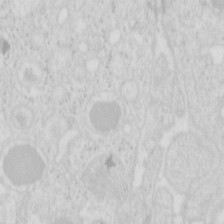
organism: Mouse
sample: Pancreas